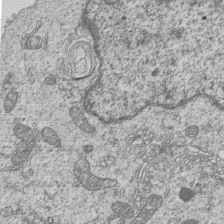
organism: Human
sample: MDA-MB-231 cells